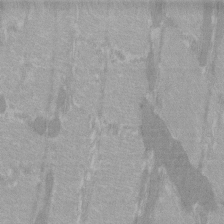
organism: C57BL Mouse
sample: Tibialis anterior muscle cell